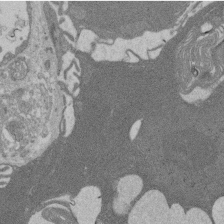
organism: Rat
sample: Salivary granule